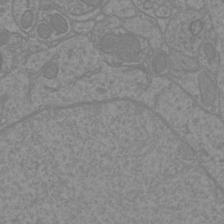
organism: Mouse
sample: Cortical neurons